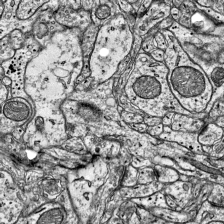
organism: Mouse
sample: Visual Cortex